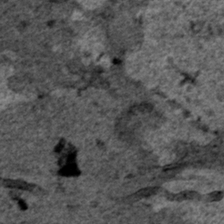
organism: Human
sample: Mitochondria in HCT116 cells